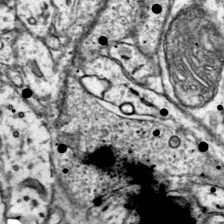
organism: Mouse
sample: Primary visual cortex